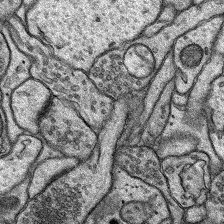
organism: Rat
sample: Hippocampus